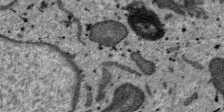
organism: Human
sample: Lung epithelial cells, uninfected (mock) control